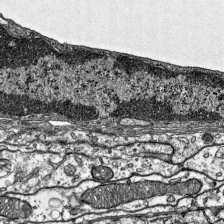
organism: Mouse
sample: Visual Cortex